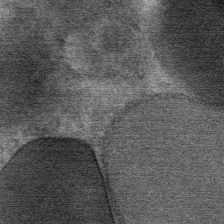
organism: Mouse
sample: Mouse Salivary gland